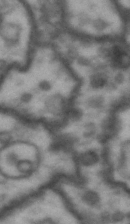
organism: Drosophila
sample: Brain